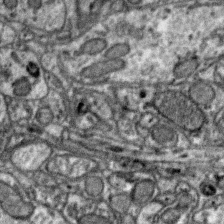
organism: Zebra finch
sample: Brain